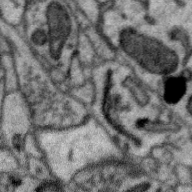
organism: Zebra finch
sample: Brain